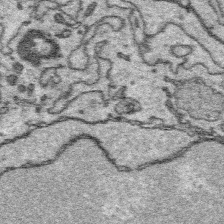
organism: Platynereis dumerilii